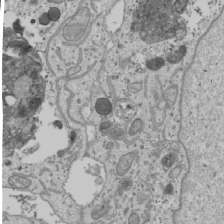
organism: Human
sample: Mitochondria in U2OS cells